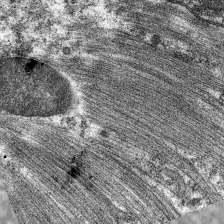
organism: C. elegans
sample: Pharynx